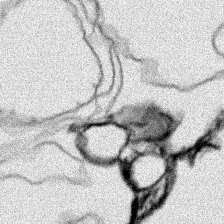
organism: Human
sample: Mitochondria in HCT116 cells